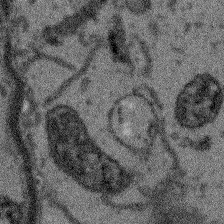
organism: Arabidopsis thaliana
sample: Root tip